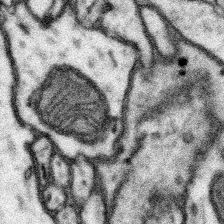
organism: Mouse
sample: Somatosensory cortex neuropil